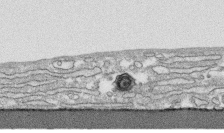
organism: Human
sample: CRL-1474